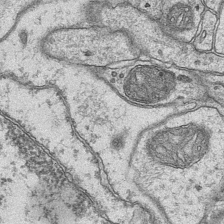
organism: Mouse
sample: CA1 Hippocampus